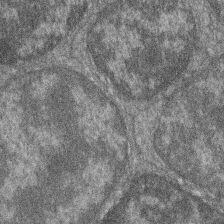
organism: Zebrafish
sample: Cilia; retinal pigment epithelium